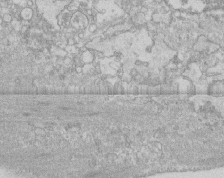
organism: Human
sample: CRL-1474